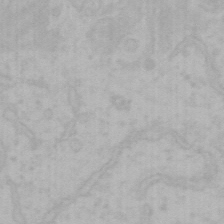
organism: Mouse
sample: Choroid plexus